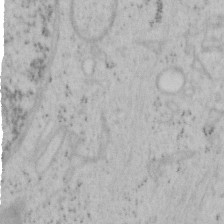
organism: Human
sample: HeLa cells